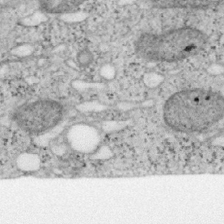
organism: Mouse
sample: OT-I killer T cells with ID8 ovarian cancer cells